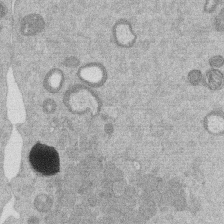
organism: Mouse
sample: Dividing mouse embryo 1 cell stage